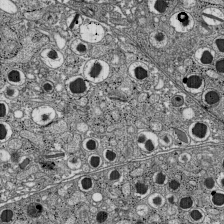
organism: C57BL Mouse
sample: Pancreatic islet